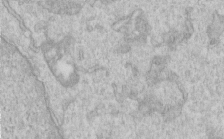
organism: Human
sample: Centriole in RPE cells